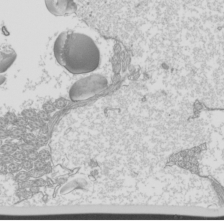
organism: Mouse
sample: Cilia; mouse epididymis